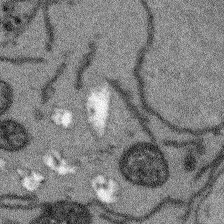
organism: Arabidopsis thaliana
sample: Root tip